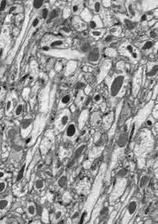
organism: Drosophila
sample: Optic lobe